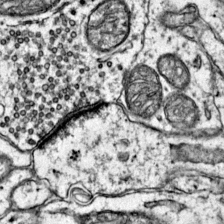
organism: Mouse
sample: Primary visual cortex